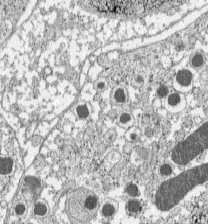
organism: C57BL Mouse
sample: Pancreatic islet